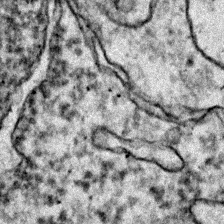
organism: Zebrafish